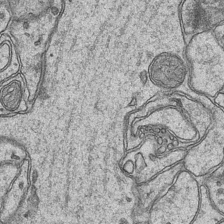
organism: Mouse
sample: CA1 Hippocampus